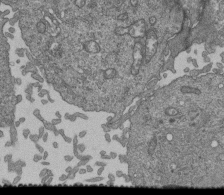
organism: Human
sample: Retinal organoid Rod and Cone cells